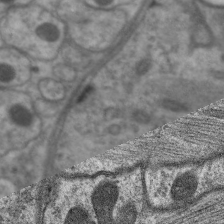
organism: C. elegans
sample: Pharynx